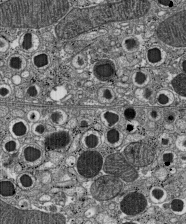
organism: C57BL Mouse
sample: Pancreatic islet